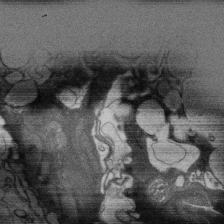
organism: Rat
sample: Salivary granule